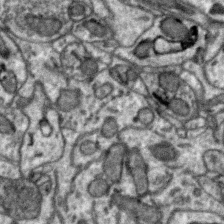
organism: Zebra finch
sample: Brain